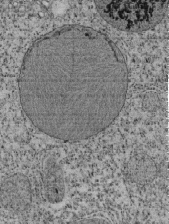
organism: Tetrahymena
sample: Cilia in tetrahymena